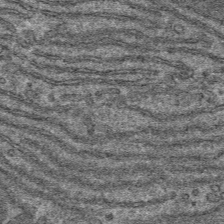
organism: Mouse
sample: Mouse hepatocytes